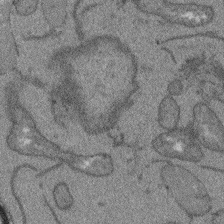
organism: Arabidopsis thaliana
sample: Root tip